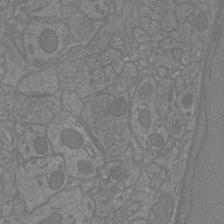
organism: Mouse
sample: Cortical neurons